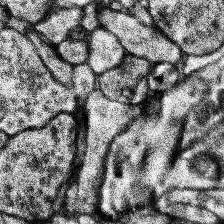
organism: Human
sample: Temporal Lobe